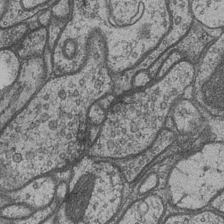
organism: Drosophila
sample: Optic medulla